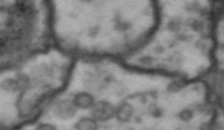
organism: Drosophila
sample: Brain